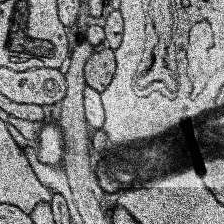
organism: Human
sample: Temporal Lobe